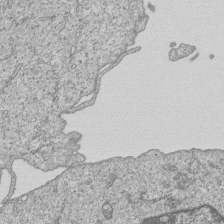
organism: Human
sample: MDA-MB-231 cells